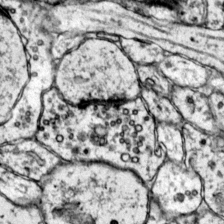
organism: Mouse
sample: Primary visual cortex